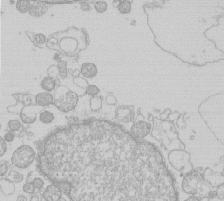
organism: Human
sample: Macrophage cells